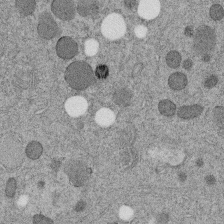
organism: C. elegans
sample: C. elegans embryo early stage